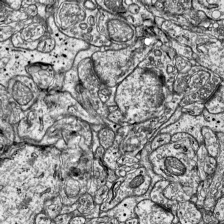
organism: Mouse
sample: Visual Cortex